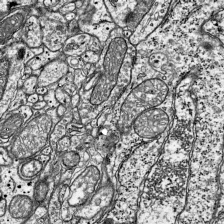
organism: Mouse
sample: Visual Cortex